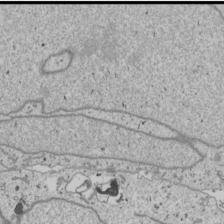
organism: Human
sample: Mitochondria in U2OS cells